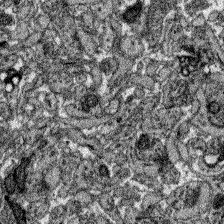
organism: Zebrafish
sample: Larval olfactory bulb